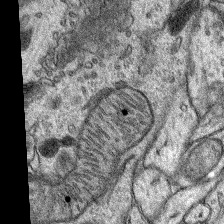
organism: Rat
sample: Hippocampus